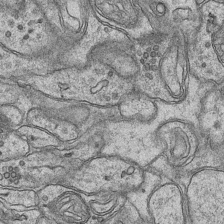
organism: Mouse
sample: CA1 Hippocampus